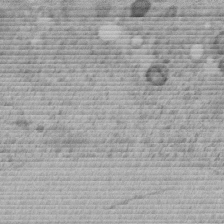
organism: C. elegans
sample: C. elegans embryo early stage